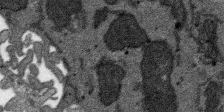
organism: Human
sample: Lung epithelial cells infected with SARS-CoV-2